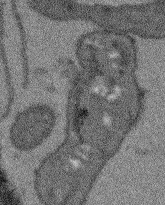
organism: Arabidopsis thaliana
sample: Root tip